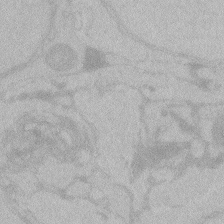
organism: Zebrafish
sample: Macrophage infected with Toxoplasma gondii